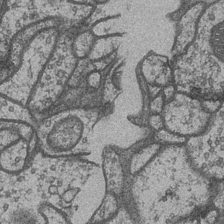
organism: Drosophila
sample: Optic medulla